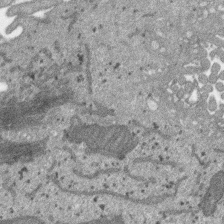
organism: Human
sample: Lung epithelial cells infected with SARS-CoV-2